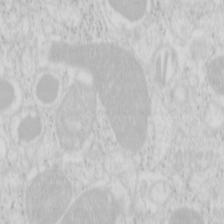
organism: Mouse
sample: Pancreas